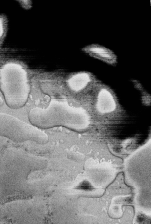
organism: Human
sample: Retinal organoid Rod and Cone cells